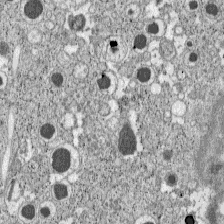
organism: C57BL Mouse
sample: Pancreatic islet